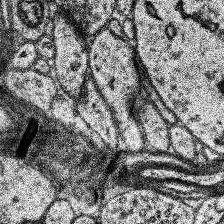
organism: Human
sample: Temporal Lobe